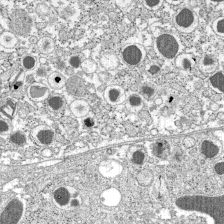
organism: C57BL Mouse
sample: Pancreatic islet